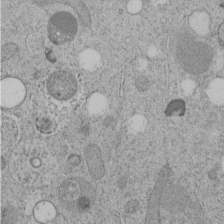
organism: C. elegans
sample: C. elegans embryo early stage